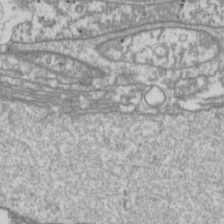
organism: Drosophila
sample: Cell division; meiosis; drosophila spermatocytes